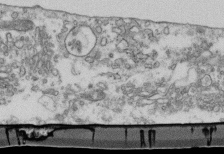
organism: Mouse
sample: Cilia; retinal pigment epithelium